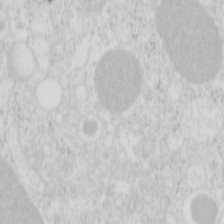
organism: Mouse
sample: Pancreas